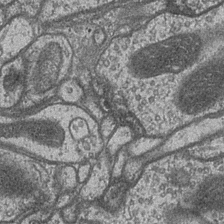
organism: Drosophila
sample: Optic medulla